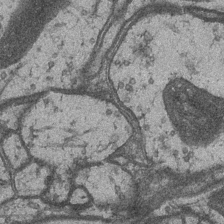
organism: Drosophila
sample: Optic medulla